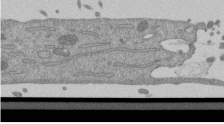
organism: Mouse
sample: ED-1 cell nuclei; centrioles